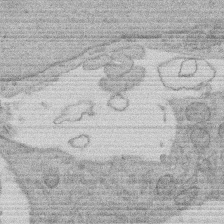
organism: Rat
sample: Salivary granule